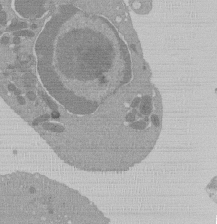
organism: Mouse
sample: Activated Pmel transgenic CD8+ T Cells